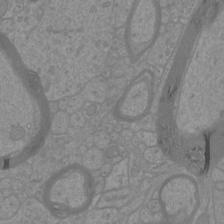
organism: Mouse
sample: Cortical neurons